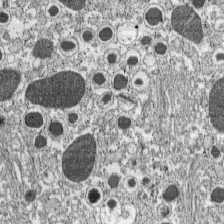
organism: C57BL Mouse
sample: Pancreatic islet